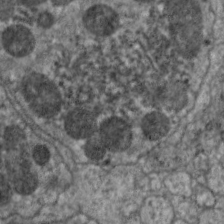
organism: C. elegans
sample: Pharynx